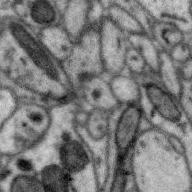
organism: Zebra finch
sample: Brain